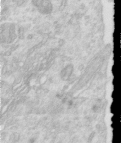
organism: Human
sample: Centriole in RPE cells